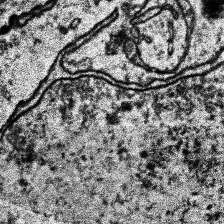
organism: Human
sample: Temporal Lobe